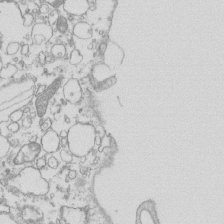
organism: Mouse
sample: Macrophages